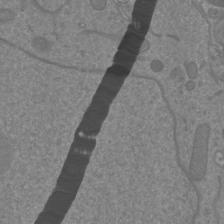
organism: Mouse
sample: Cortical neurons